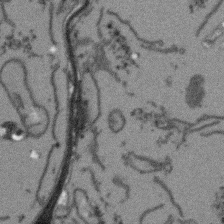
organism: Arabidopsis thaliana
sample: Root tip